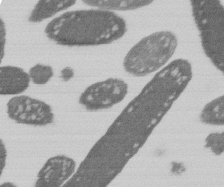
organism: E. coli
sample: Bacterial nucleoid